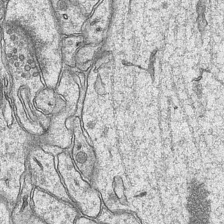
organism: Mouse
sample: CA1 Hippocampus